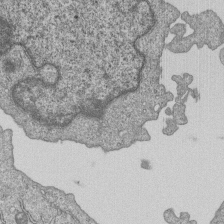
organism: Human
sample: MDA-MB-231 cells